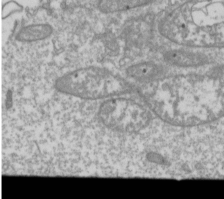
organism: Drosophila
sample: Cell division; meiosis; drosophila spermatocytes